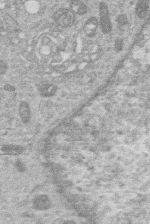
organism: Human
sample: Macrophage cells